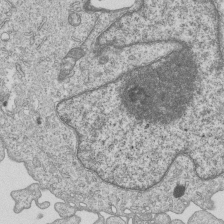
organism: Human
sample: MDA-MB-231 cells